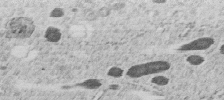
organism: C. elegans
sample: C. elegans embryo early stage